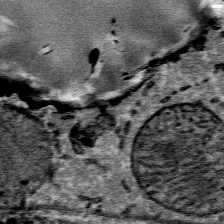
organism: Mouse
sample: Mouse Salivary gland